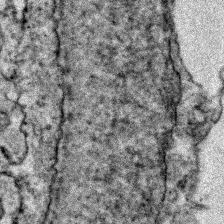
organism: Zebrafish